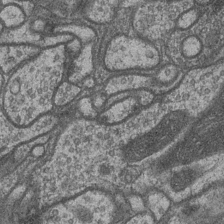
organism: Drosophila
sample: Optic medulla